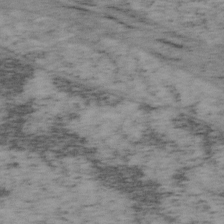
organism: Mouse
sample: OT-I killer T cells with ID8 ovarian cancer cells